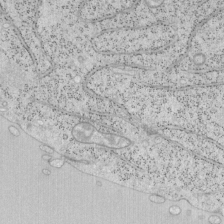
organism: Mouse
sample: OT-I killer T cells with ID8 ovarian cancer cells